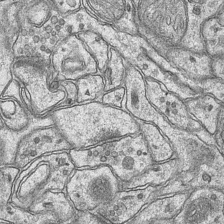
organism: Mouse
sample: CA1 Hippocampus